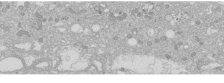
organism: Human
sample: Caco-2 cells